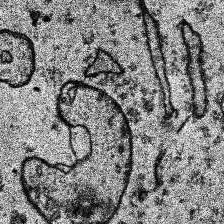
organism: Human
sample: Temporal Lobe